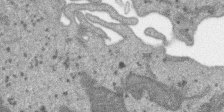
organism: Human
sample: Lung epithelial cells infected with SARS-CoV-2